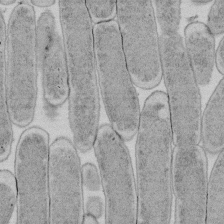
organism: E. coli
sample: Bacterial nucleoid